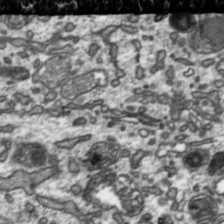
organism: Toxoplasma gondii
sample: Parasites in a vacuole inside a host cell